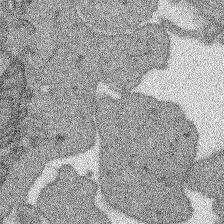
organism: Human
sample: HeLa cells